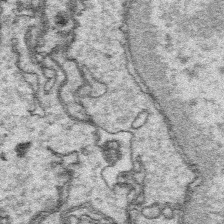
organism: Platynereis dumerilii